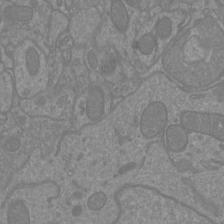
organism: Mouse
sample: Cortical neurons